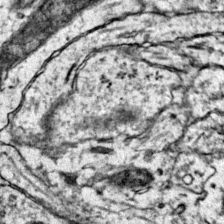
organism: Mouse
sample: Primary visual cortex